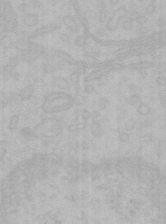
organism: Mouse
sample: Choroid plexus